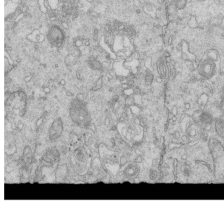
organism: Mouse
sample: Multiciliated cells